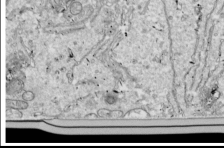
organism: Drosophila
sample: Cell division; meiosis; drosophila spermatocytes